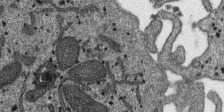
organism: Human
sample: Lung epithelial cells infected with SARS-CoV-2